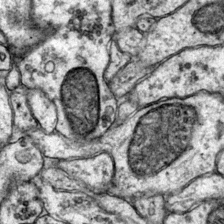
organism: Mouse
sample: Primary visual cortex